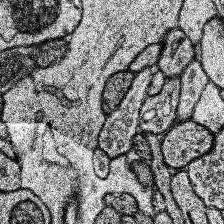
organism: Human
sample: Temporal Lobe